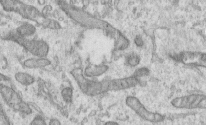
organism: Human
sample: Centriole in RPE cells